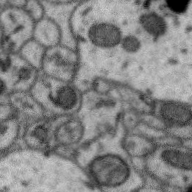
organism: Zebra finch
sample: Brain